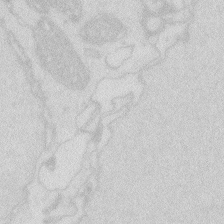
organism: Zebrafish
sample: Macrophage